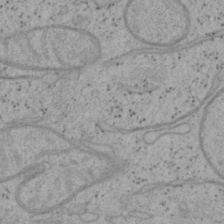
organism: Human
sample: HeLa cells